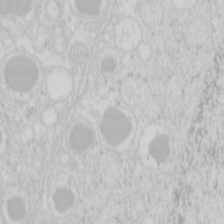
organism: Mouse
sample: Pancreas